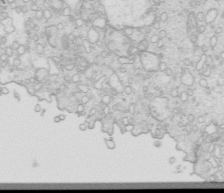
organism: Mouse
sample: Multiciliated cells